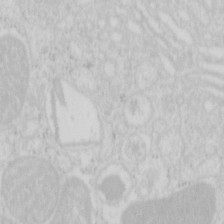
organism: Mouse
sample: Pancreas